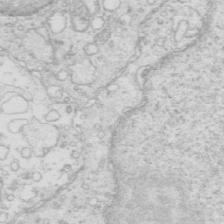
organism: Mouse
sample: Multiciliated cells